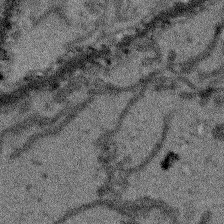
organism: Arabidopsis thaliana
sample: Root tip